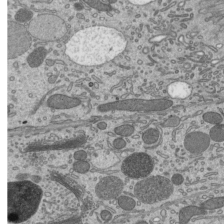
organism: Mouse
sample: Mouse epididymis efferent ductule cilia